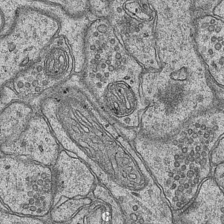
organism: Mouse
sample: CA1 Hippocampus